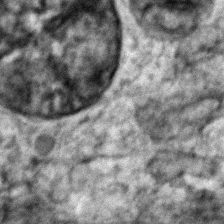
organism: Zebrafish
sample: Zebrafish embryo